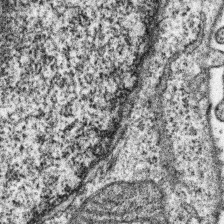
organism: Human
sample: HeLa cells